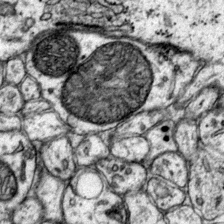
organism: Mouse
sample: Primary visual cortex